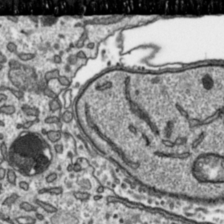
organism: Toxoplasma gondii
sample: Parasites in a vacuole inside a host cell